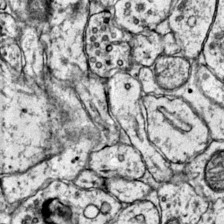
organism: Mouse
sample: Primary visual cortex